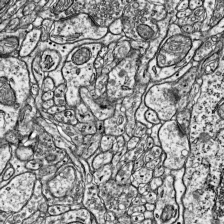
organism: Mouse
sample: Visual Cortex